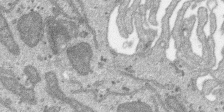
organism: Human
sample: Lung epithelial cells infected with SARS-CoV-2